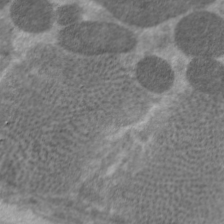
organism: C. elegans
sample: Pharynx